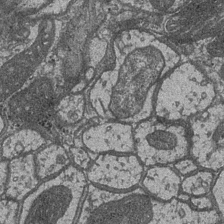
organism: Drosophila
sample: Optic medulla